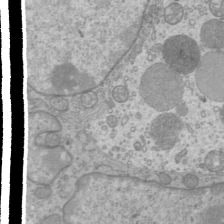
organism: Mouse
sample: Cilia; mouse epididymis